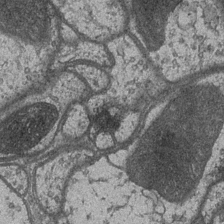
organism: Drosophila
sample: Optic medulla